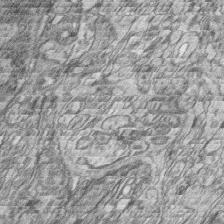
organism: Zebrafish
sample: synaptic ribbons in rod cells and cone cells